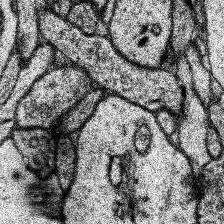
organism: Human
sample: Temporal Lobe